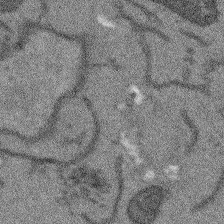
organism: Arabidopsis thaliana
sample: Root tip